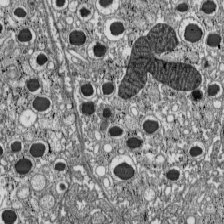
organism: C57BL Mouse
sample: Pancreatic islet